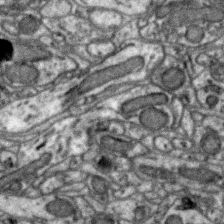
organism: Zebra finch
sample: Brain